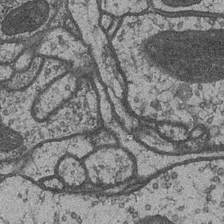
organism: Drosophila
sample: Optic medulla